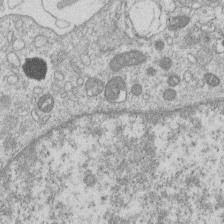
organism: Human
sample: Macrophage cells